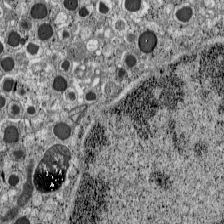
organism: C57BL Mouse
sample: Pancreatic islet